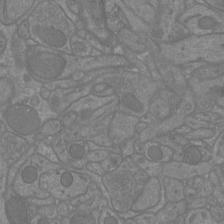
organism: Mouse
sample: Cortical neurons